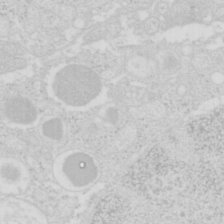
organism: Mouse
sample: Pancreas